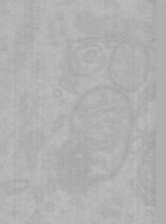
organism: Mouse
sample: Choroid plexus